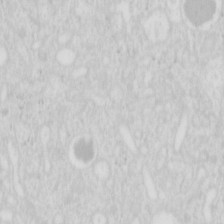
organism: Mouse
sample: Pancreas